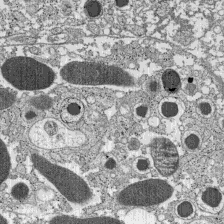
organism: C57BL Mouse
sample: Pancreatic islet